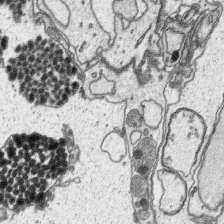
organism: Platynereis dumerilii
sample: Parapodia